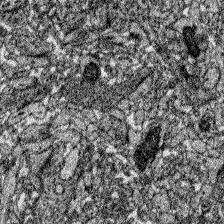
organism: Zebrafish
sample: Larval olfactory bulb